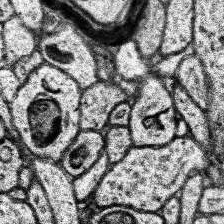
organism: Human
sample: Temporal Lobe